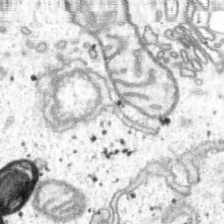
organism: Human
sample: HeLa cells